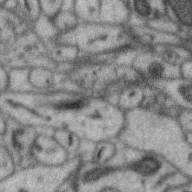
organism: Zebra finch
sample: Brain